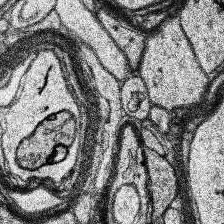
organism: Human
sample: Temporal Lobe